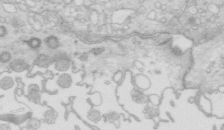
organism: Mouse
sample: Multiciliated cells